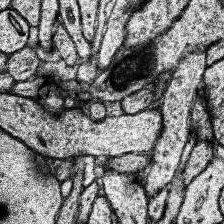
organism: Human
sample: Temporal Lobe